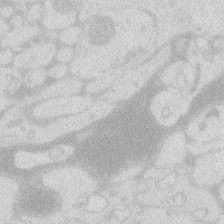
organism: Zebrafish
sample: Macrophage